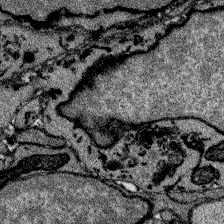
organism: Zebrafish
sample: Larval olfactory bulb